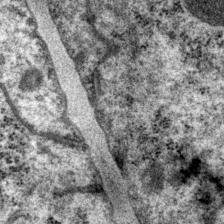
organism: P. pacificus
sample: Pharynx